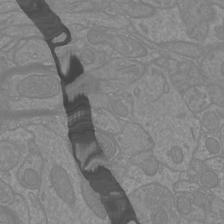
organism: Mouse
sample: Cortical neurons